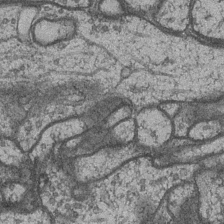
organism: Drosophila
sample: Optic medulla